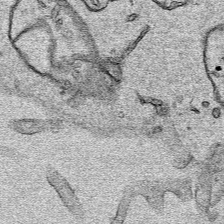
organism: Human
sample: Mitochondria in HCT116 cells